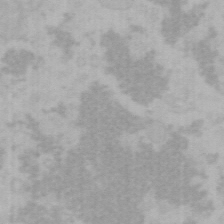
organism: Mouse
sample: Choroid plexus